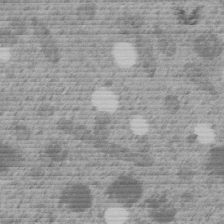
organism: C. elegans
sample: C. elegans embryo early stage